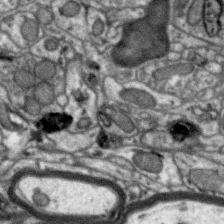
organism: Zebra finch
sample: Brain